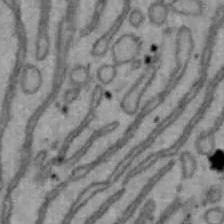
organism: Mouse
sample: Liver